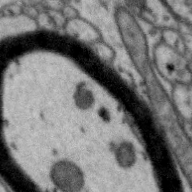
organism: Zebra finch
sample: Brain